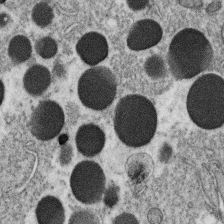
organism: C. elegans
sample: C. elegans oocyte; sperm cells